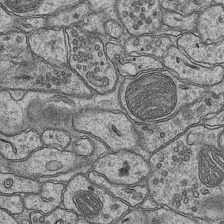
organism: Mouse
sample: CA1 Hippocampus